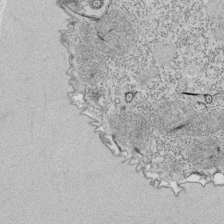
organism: Tetrahymena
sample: Cilia in tetrahymena